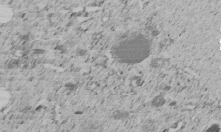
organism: C. elegans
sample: C. elegans embryo early stage